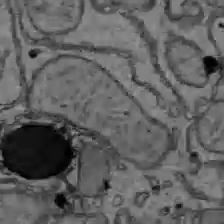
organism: C57BL Mouse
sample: Liver